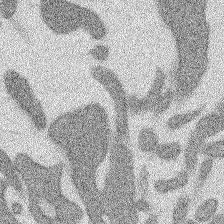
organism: Human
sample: HeLa cells